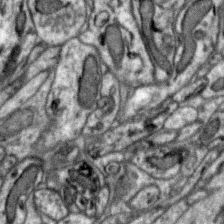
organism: Zebra finch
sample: Brain